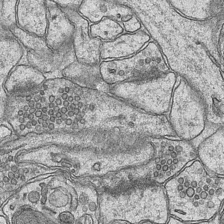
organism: Mouse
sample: CA1 Hippocampus